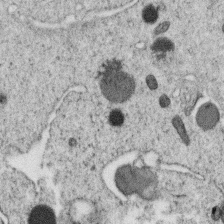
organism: C. elegans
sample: C. elegans oocyte; sperm cells